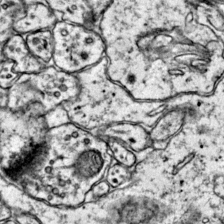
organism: Mouse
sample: Primary visual cortex